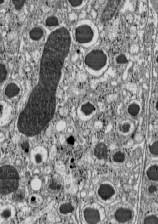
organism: C57BL Mouse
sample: Pancreatic islet